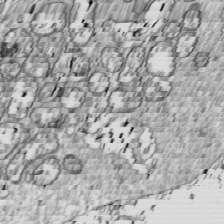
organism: Drosophila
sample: Cell division; meiosis; drosophila spermatocytes